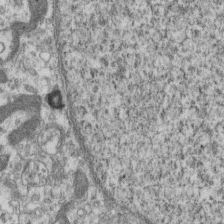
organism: Mouse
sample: Centriole in ependymal cells